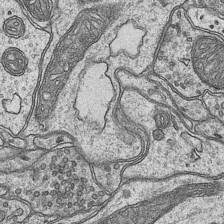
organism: Mouse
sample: CA1 Hippocampus